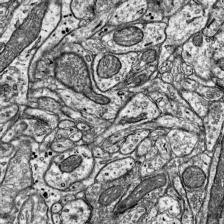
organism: Mouse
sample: Visual Cortex